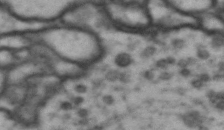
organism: Drosophila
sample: Brain